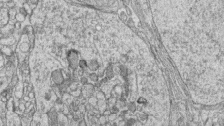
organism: Zebrafish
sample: synaptic ribbons in rod cells and cone cells